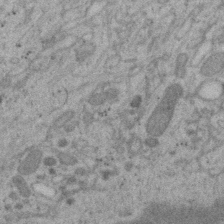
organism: Human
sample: HeLa cells